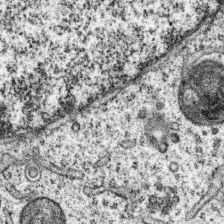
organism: Human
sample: HeLa cells